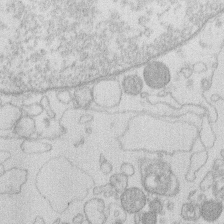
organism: Human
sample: Macrophage cells